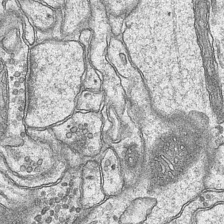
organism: Mouse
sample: CA1 Hippocampus